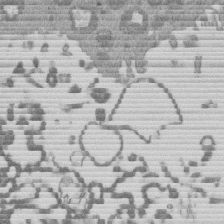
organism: Mouse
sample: Dividing mouse embryo 1 cell stage